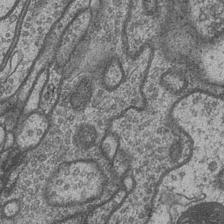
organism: Drosophila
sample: Optic medulla